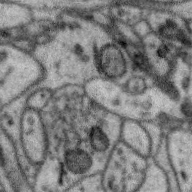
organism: Zebra finch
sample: Brain